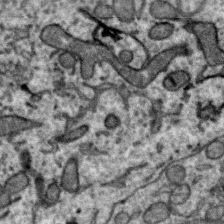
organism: Zebra finch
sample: Brain